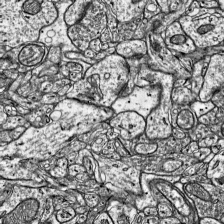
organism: Mouse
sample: Visual Cortex